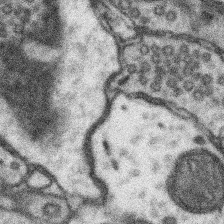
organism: Mouse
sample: Somatosensory cortex neuropil